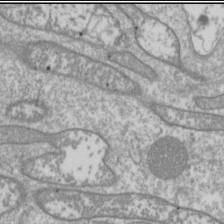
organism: Drosophila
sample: Cell division; meiosis; drosophila spermatocytes